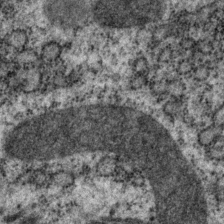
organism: P. pacificus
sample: Pharynx